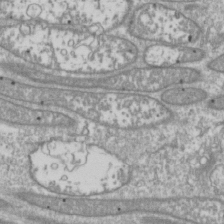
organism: Drosophila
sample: Cell division; meiosis; drosophila spermatocytes